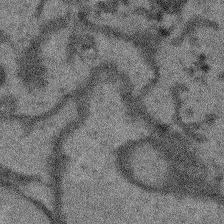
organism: Arabidopsis thaliana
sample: Root tip